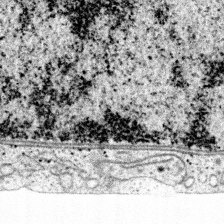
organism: Human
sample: HeLa cells